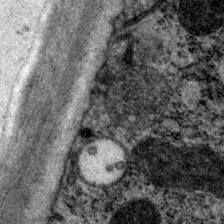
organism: P. pacificus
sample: Pharynx